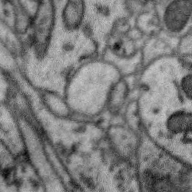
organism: Zebra finch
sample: Brain